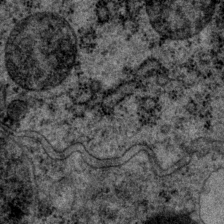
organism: P. pacificus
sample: Pharynx